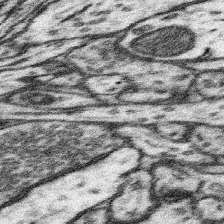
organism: Mouse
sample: Somatosensory cortex neuropil